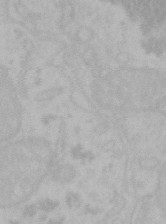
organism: Mouse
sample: Choroid plexus